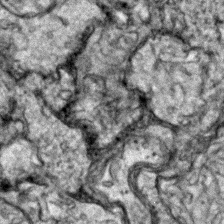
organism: Zebrafish